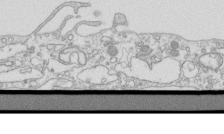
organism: Mouse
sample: Macrophages